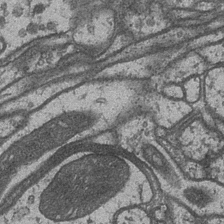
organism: Drosophila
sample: Optic medulla